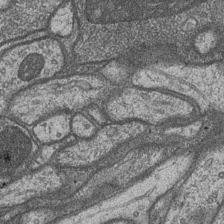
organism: Drosophila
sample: Optic medulla